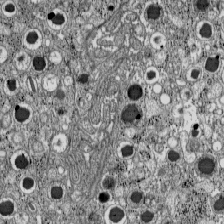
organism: C57BL Mouse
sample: Pancreatic islet